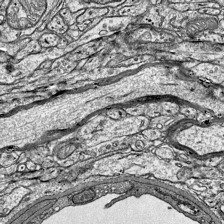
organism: Mouse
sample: Visual Cortex